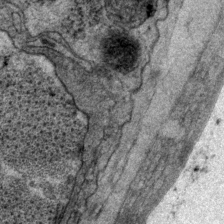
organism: P. pacificus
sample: Pharynx